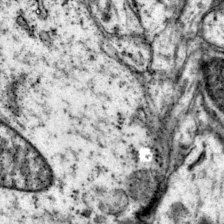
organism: Mouse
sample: Primary visual cortex